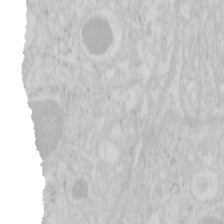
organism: Mouse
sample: Pancreas